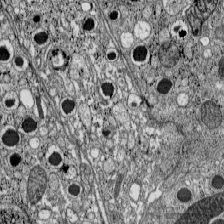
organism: C57BL Mouse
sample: Pancreatic islet